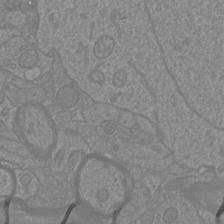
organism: Mouse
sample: Cortical neurons